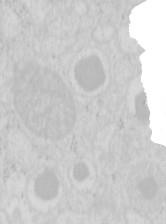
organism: Mouse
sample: Pancreas